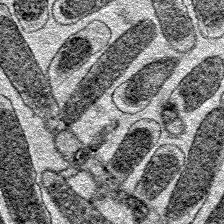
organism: E. coli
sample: E. Coli Bacteria